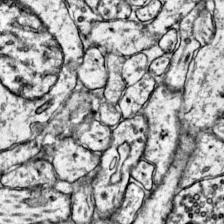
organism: Mouse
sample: Primary visual cortex